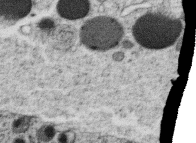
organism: C. elegans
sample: C. elegans oocyte; sperm cells